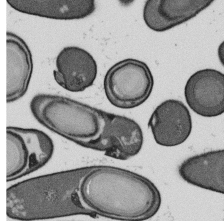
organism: B. subtilis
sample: Bacterial spore